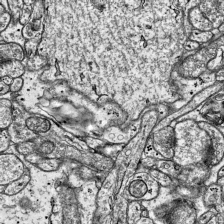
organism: Mouse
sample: Visual Cortex